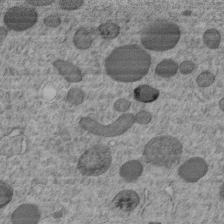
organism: C. elegans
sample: C. elegans embryo early stage